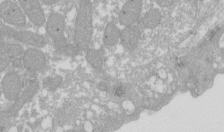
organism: Xenopus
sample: Cilia; centrioles in frog embryo cells